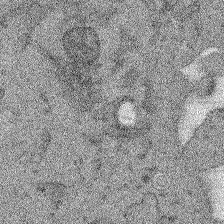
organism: Human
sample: HeLa cells